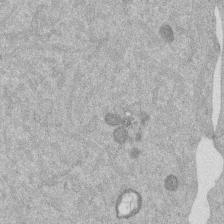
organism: Mouse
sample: Dividing mouse embryo 1 cell stage